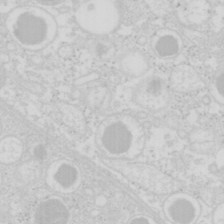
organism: Mouse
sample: Pancreas